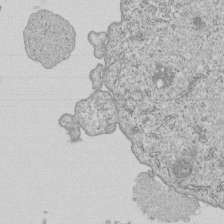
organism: Human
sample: MDA-MB-231 cells